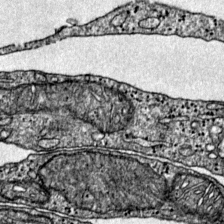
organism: Mouse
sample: Primary visual cortex